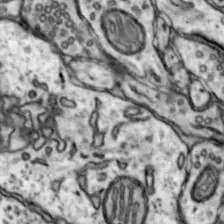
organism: Mouse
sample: Nucleus accumbens